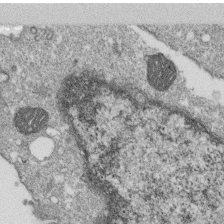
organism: African green monkey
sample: Vero E6 cells infected with SARS-CoV-2